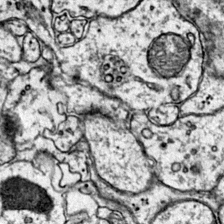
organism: Mouse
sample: Primary visual cortex